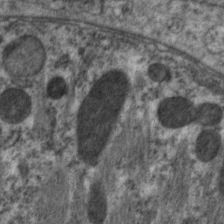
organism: C. elegans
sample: Pharynx